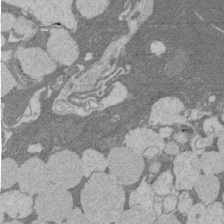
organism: Rat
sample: Salivary granule